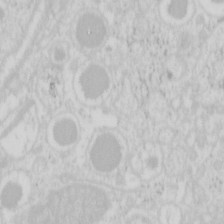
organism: Mouse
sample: Pancreas